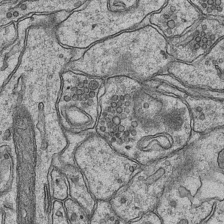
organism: Mouse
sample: CA1 Hippocampus